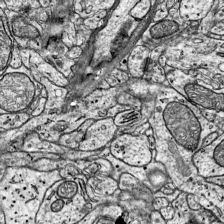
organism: Mouse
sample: Visual Cortex